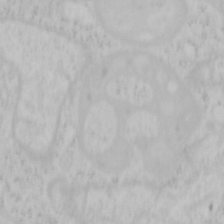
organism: Mouse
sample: OT-I killer T cells with ID8 ovarian cancer cells